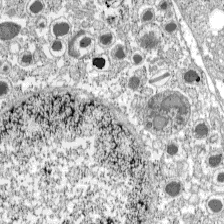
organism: C57BL Mouse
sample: Pancreatic islet